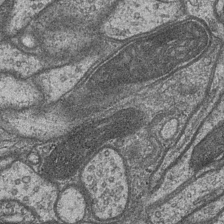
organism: Drosophila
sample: Optic medulla